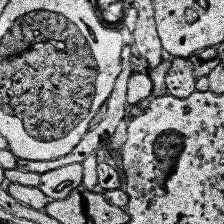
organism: Human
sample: Temporal Lobe